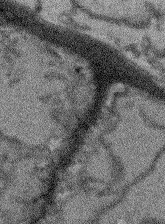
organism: Arabidopsis thaliana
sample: Root tip